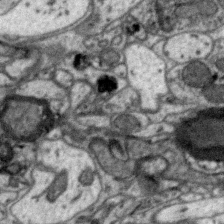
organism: Zebra finch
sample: Brain